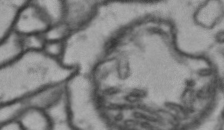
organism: Drosophila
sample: Brain